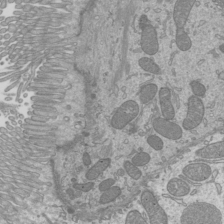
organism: Mouse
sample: Cilia; mouse epididymis